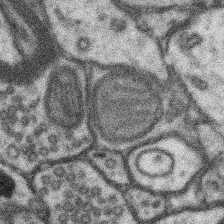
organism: Mouse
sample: Somatosensory cortex neuropil